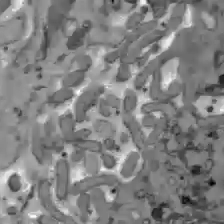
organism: C57BL Mouse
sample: Liver